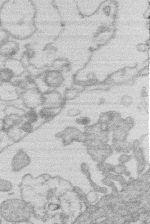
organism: Human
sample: Macrophage cells